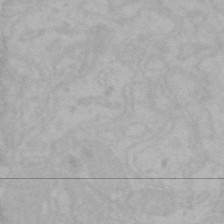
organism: Mouse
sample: Choroid plexus